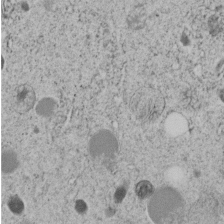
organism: C. elegans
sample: C. elegans embryo early stage